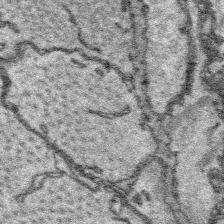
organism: Platynereis dumerilii